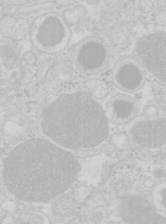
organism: Mouse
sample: Pancreas